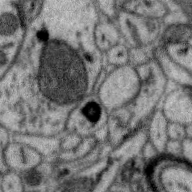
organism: Zebra finch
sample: Brain